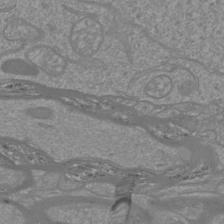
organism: Mouse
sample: Cortical neurons